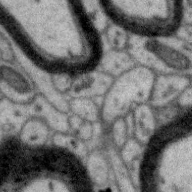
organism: Zebra finch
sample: Brain